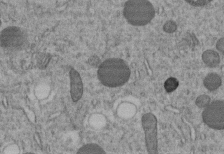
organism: C. elegans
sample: C. elegans embryo early stage